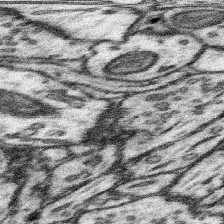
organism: Mouse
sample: Somatosensory cortex neuropil